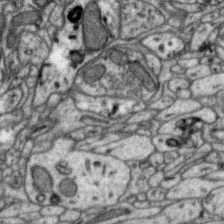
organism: Zebra finch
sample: Brain